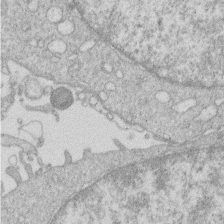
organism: Human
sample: Macrophage cells